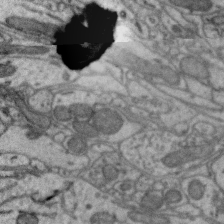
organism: Zebra finch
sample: Brain